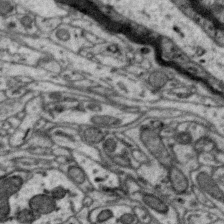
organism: Zebra finch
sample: Brain